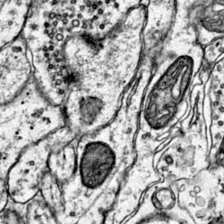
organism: Mouse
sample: Primary visual cortex